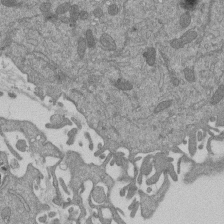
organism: Mouse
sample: ED-1 cell nuclei; centrioles